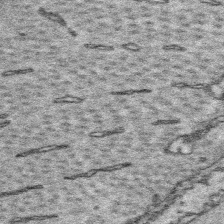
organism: Platynereis dumerilii